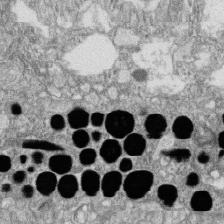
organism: Zebrafish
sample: Cilia; retinal pigment epithelium